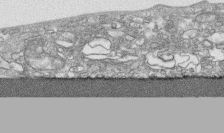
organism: Human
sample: CRL-1474